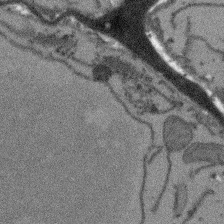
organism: Arabidopsis thaliana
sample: Root tip